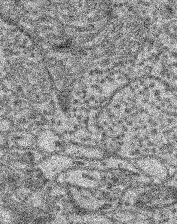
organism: Mouse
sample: Retina